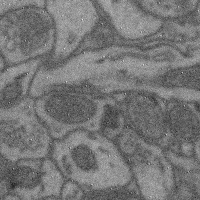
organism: Mouse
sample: Cerebral cortex